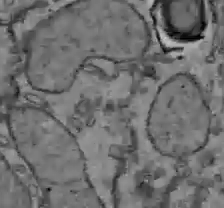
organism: C57BL Mouse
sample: Liver